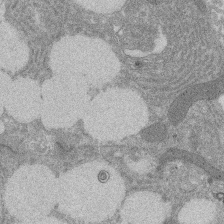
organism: Rat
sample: Salivary granule